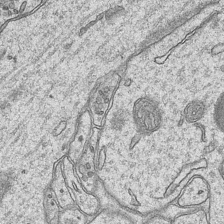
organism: Mouse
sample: CA1 Hippocampus